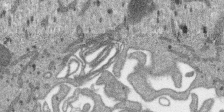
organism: Human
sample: Lung epithelial cells infected with SARS-CoV-2